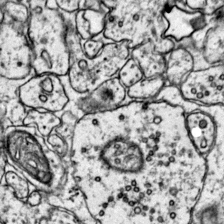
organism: Mouse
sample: Primary visual cortex